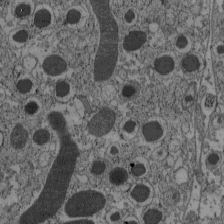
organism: C57BL Mouse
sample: Pancreatic islet